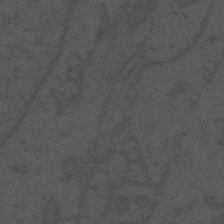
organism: Mouse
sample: Suprachiasmatic nucleus